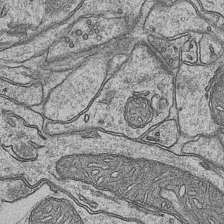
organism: Mouse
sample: CA1 Hippocampus